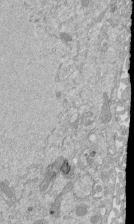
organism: Mouse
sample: ED-1 cell nuclei; centrioles